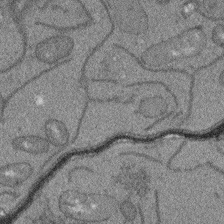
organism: Arabidopsis thaliana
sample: Root tip